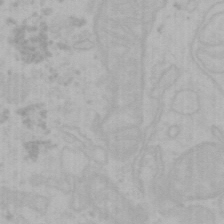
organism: Mouse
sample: Choroid plexus